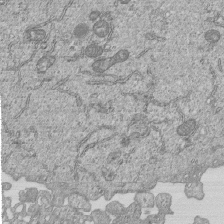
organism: Human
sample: MDA-MB-231 cells